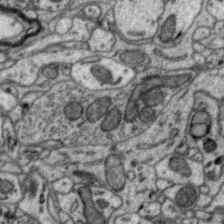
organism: Zebra finch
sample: Brain